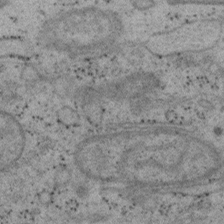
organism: Human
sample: HeLa cells